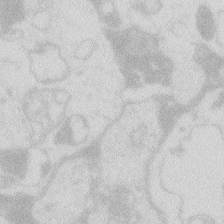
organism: Zebrafish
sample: Macrophage